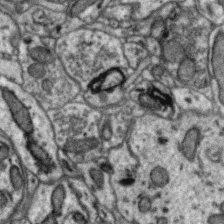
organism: Zebra finch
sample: Brain